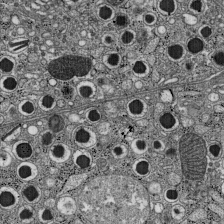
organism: C57BL Mouse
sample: Pancreatic islet